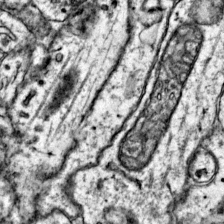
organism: Mouse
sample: Primary visual cortex